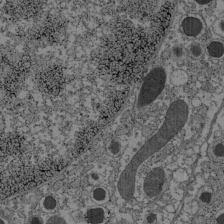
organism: C57BL Mouse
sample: Pancreatic islet